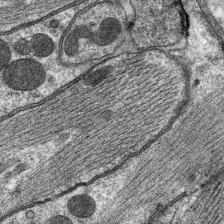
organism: C. elegans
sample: Pharynx